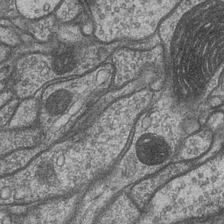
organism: Drosophila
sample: Optic medulla